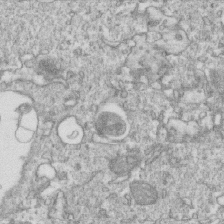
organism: Mouse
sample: Activated OT-1 CD8+ T cells